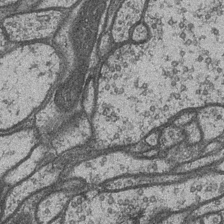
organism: Drosophila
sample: Optic medulla